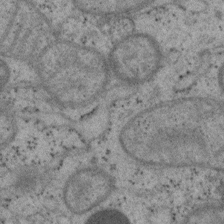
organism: Human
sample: HeLa cells